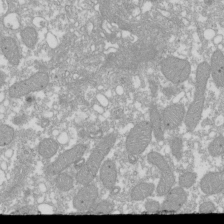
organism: Xenopus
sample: Cilia; centrioles in frog embryo cells